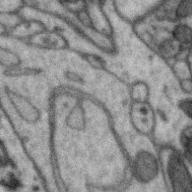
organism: Zebra finch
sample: Brain